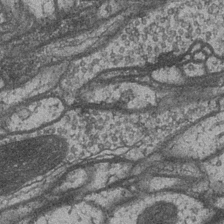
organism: Drosophila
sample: Optic medulla